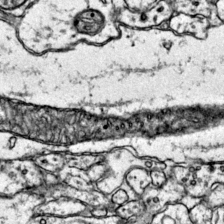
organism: Mouse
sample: Primary visual cortex